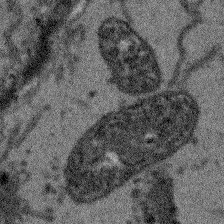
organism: Arabidopsis thaliana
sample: Root tip